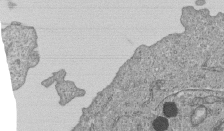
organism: Human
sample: MDA-MB-231 cells